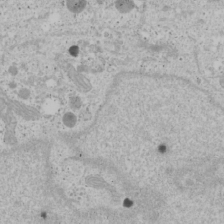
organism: Human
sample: Mitochondria in U2OS cells